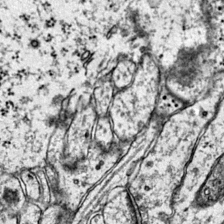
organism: Mouse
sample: Primary visual cortex